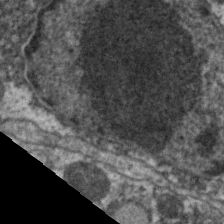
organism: C. elegans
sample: Pharynx